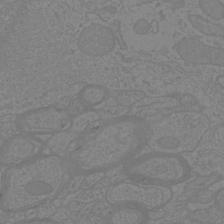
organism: Mouse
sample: Cortical neurons